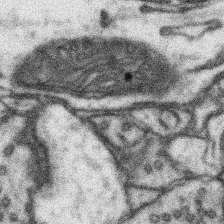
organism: Mouse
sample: Somatosensory cortex neuropil